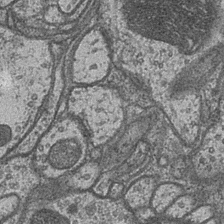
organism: Drosophila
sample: Optic medulla